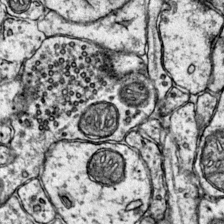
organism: Mouse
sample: Primary visual cortex